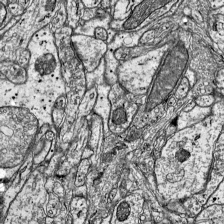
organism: Mouse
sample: Visual Cortex